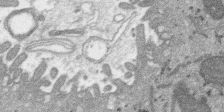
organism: Human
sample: Lung epithelial cells infected with SARS-CoV-2